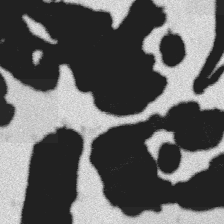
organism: Platynereis dumerilii